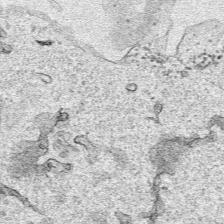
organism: Human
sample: Mitochondria in HCT116 cells